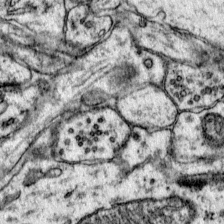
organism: Mouse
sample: Primary visual cortex